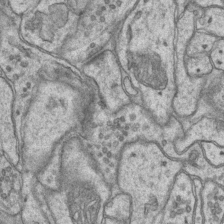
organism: Mouse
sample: CA1 Hippocampus